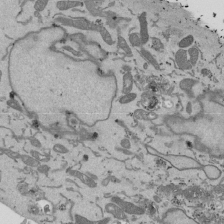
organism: Mouse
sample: ED-1 cell nuclei; centrioles